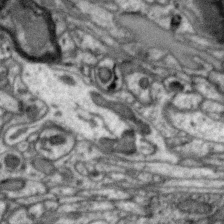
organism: Zebra finch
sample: Brain